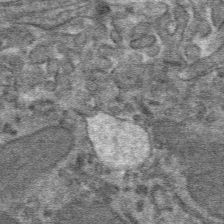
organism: Mouse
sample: Mouse hepatocytes